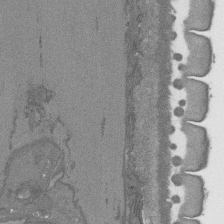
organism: C. elegans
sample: AFD neurons C. elegans